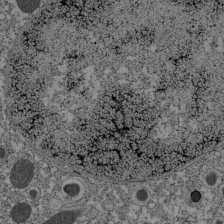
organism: C57BL Mouse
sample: Pancreatic islet